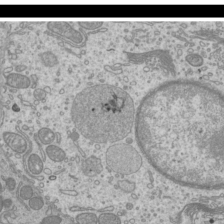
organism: Mouse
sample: Cilia; mouse epididymis